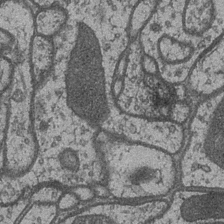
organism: Drosophila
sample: Optic medulla